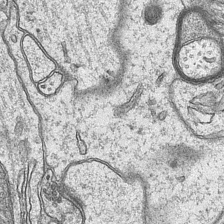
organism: Mouse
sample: CA1 Hippocampus